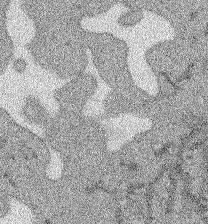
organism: Human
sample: HeLa cells